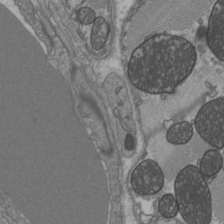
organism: C57BL Mouse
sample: Heart